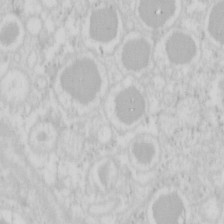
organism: Mouse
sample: Pancreas